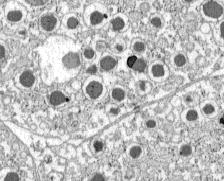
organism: C57BL Mouse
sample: Pancreatic islet